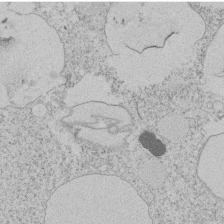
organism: Tetrahymena